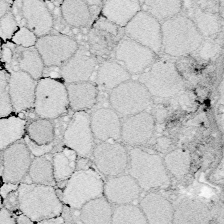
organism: Zebrafish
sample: Whole-Brain